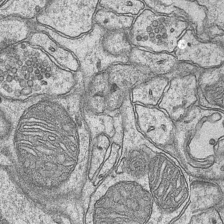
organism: Mouse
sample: CA1 Hippocampus